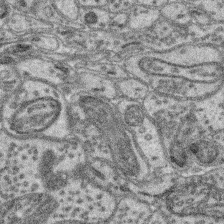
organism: Mouse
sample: Retina